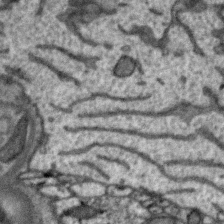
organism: Zebra finch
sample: Brain